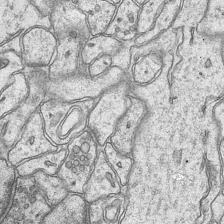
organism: Mouse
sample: CA1 Hippocampus